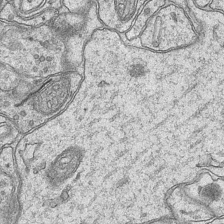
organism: Mouse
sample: CA1 Hippocampus